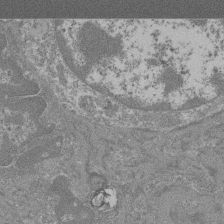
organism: Mouse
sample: Glomerulus